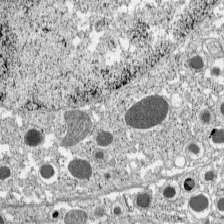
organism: C57BL Mouse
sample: Pancreatic islet